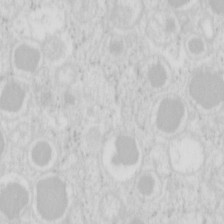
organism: Mouse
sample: Pancreas